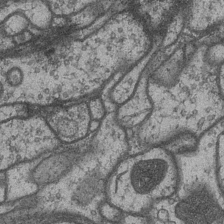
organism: Drosophila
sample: Optic medulla